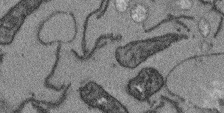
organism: Arabidopsis thaliana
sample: Root tip